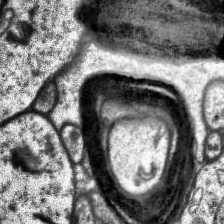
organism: Human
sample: Temporal Lobe